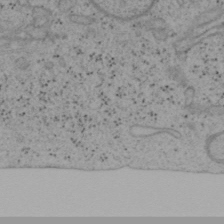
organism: Human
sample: HeLa cells